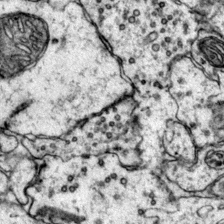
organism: Mouse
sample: Primary visual cortex